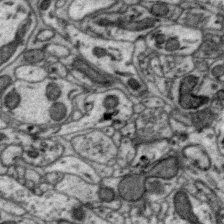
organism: Zebra finch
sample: Brain